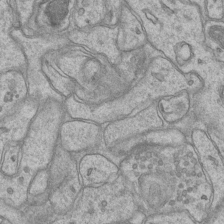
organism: Mouse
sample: CA1 Hippocampus